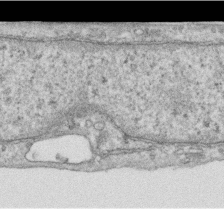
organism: Human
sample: Centriole in RPE cells